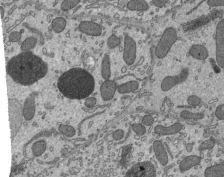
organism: Mouse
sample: Mouse epididymis efferent ductule cilia